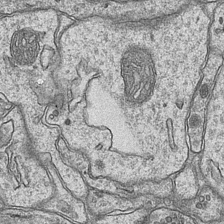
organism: Mouse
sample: CA1 Hippocampus